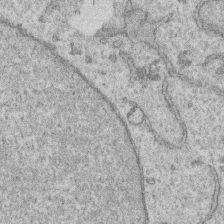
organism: Human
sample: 1205lu cells